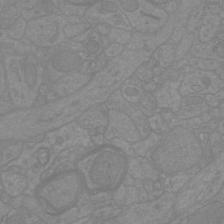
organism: Mouse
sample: Cortical neurons